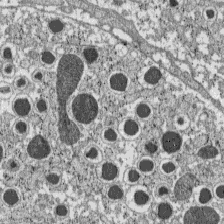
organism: C57BL Mouse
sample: Pancreatic islet